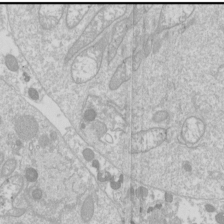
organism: Drosophila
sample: Cell division; meiosis; drosophila spermatocytes